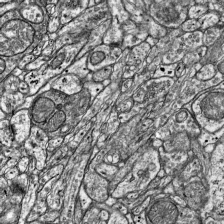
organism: Mouse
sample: Visual Cortex